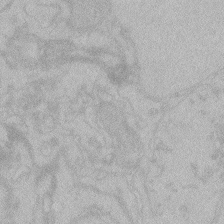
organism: Zebrafish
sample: Macrophage infected with Toxoplasma gondii